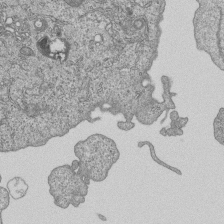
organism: Human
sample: MDA-MB-231 cells